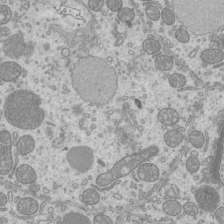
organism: Mouse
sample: Cilia; mouse epididymis